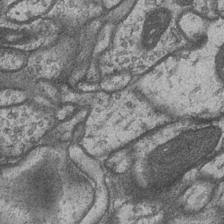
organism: Drosophila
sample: Optic medulla